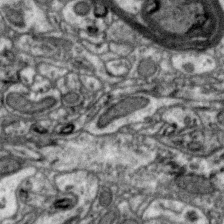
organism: Zebra finch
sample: Brain